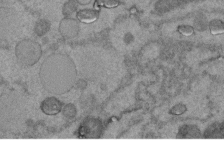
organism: C. elegans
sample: C. elegans embryo early stage